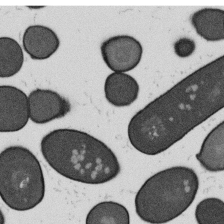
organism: B. subtilis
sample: Bacterial spore